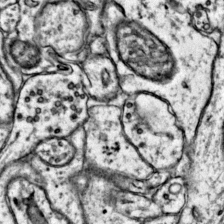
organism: Mouse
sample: Primary visual cortex